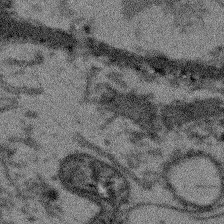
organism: Arabidopsis thaliana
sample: Root tip